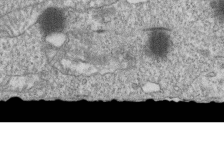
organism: Human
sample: HeLa cell HIV synapse